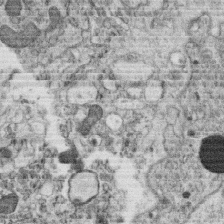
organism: C. elegans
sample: C. elegans oocyte; sperm cells